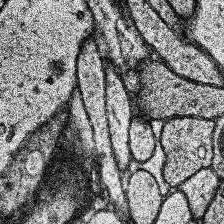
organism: Human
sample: Temporal Lobe